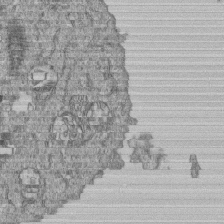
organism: Human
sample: MDA-MB-231 cells